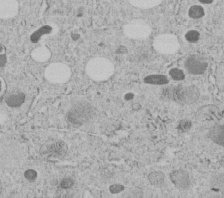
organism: C. elegans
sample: C. elegans embryo early stage